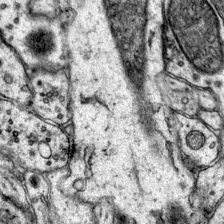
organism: Mouse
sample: Primary visual cortex